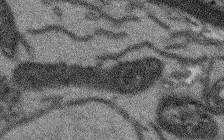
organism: Arabidopsis thaliana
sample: Root tip